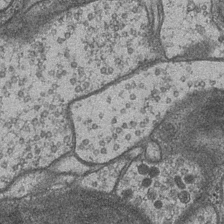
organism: Drosophila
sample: Optic medulla